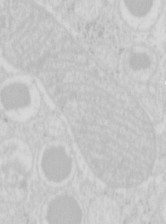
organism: Mouse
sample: Pancreas